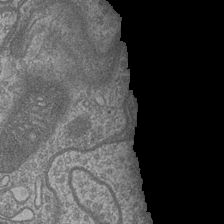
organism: Drosophila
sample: Optic medulla